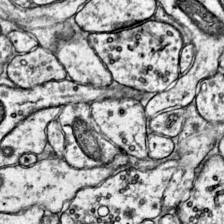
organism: Mouse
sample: Primary visual cortex